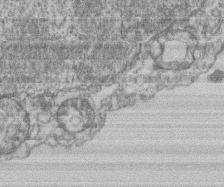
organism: Mouse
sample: T cell stromal cell synapse